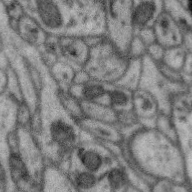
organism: Zebra finch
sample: Brain